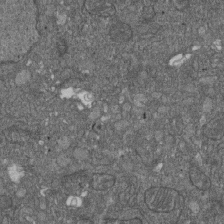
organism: Drosophila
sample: Nephrocyte